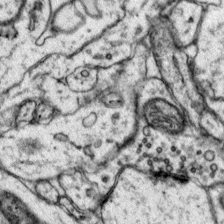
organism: Mouse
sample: Primary visual cortex